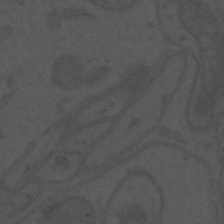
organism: Mouse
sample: Suprachiasmatic nucleus